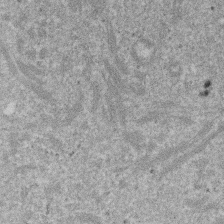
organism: Mouse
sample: Dividing mouse embryo 1 cell stage